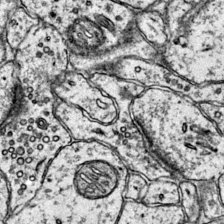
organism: Mouse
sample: Primary visual cortex